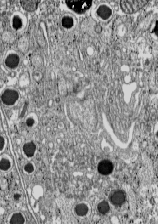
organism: C57BL Mouse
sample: Pancreatic islet